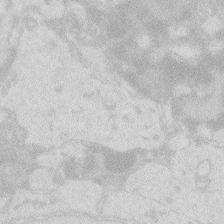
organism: Zebrafish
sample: Macrophage